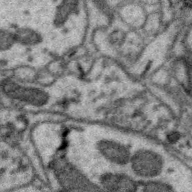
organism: Zebra finch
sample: Brain